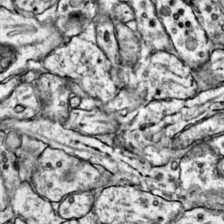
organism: Mouse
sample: Primary visual cortex